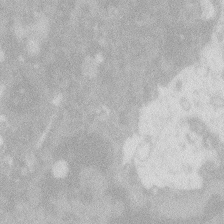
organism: Zebrafish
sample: Macrophage